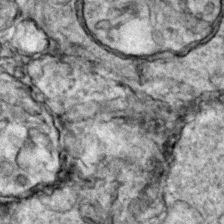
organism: Zebrafish